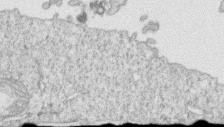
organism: Human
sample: HeLa cell HIV synapse